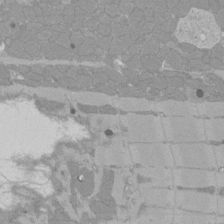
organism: Rat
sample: Left ventricle